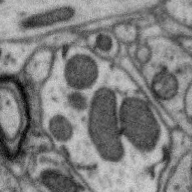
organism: Zebra finch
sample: Brain